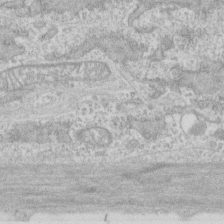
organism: Human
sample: CRL-1474